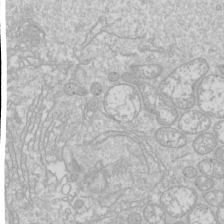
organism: Drosophila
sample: Cell division; meiosis; drosophila spermatocytes